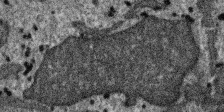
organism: Human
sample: Lung epithelial cells infected with SARS-CoV-2